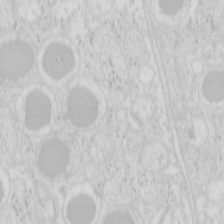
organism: Mouse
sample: Pancreas